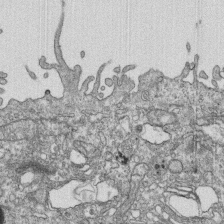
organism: Human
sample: HeLa cell HIV synapse